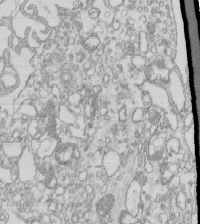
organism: Mouse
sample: Macrophages